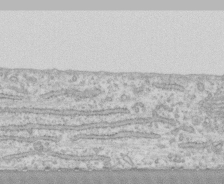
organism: Human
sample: CRL-1474